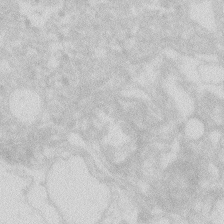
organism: Zebrafish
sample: Macrophage